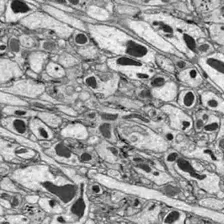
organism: Drosophila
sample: Optic lobe